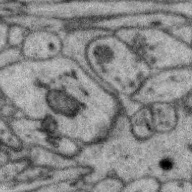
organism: Zebra finch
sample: Brain